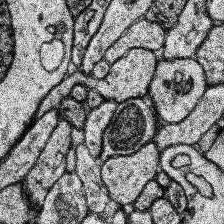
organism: Human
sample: Temporal Lobe